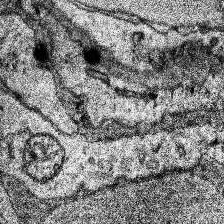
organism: Human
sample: Temporal Lobe